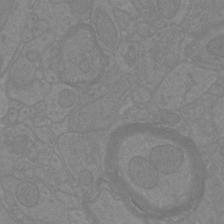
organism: Mouse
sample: Cortical neurons